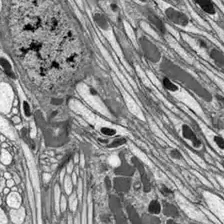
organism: Drosophila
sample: Optic lobe